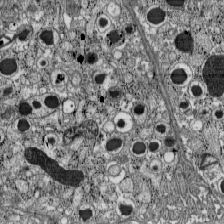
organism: C57BL Mouse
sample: Pancreatic islet